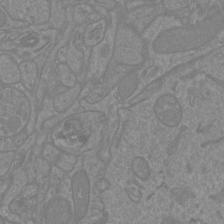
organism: Mouse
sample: Cortical neurons